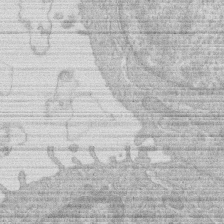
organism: Human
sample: Macrophage cells